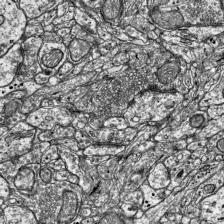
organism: Mouse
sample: Visual Cortex